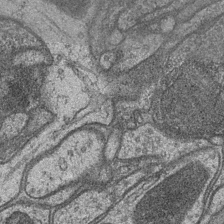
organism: Drosophila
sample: Optic medulla